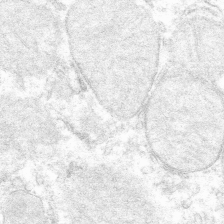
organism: Mouse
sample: Mouse hepatocytes